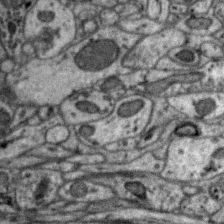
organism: Zebra finch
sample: Brain